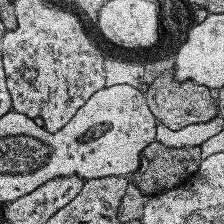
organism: Human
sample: Temporal Lobe